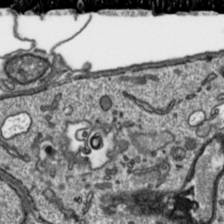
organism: Toxoplasma gondii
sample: Parasites in a vacuole inside a host cell